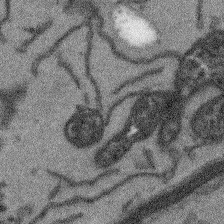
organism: Arabidopsis thaliana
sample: Root tip